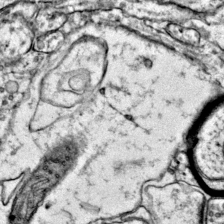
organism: Mouse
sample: Primary visual cortex